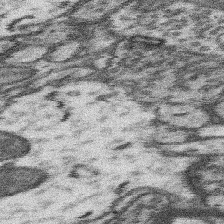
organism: Mouse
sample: Somatosensory cortex neuropil